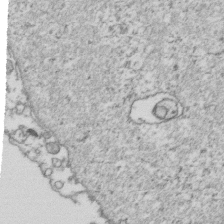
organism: Human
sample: Activated Jurkat CD4+ T cells